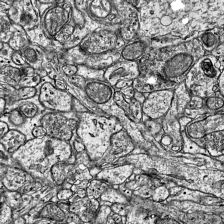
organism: Mouse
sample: Visual Cortex